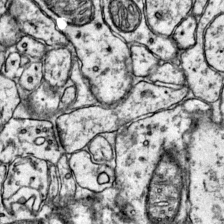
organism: Mouse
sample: Primary visual cortex